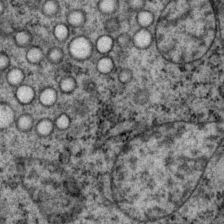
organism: P. pacificus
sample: Pharynx